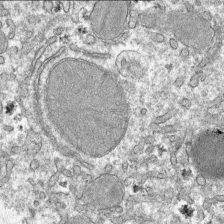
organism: Mouse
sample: Mouse hepatocytes